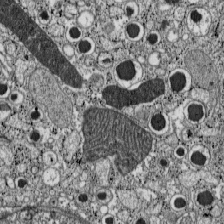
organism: C57BL Mouse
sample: Pancreatic islet